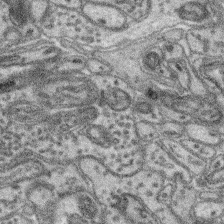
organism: Mouse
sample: Retina